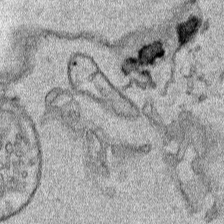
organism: Human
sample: Mitochondria in HCT116 cells